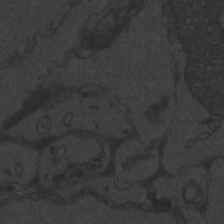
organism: Zebrafish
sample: Macrophage infected with Toxoplasma gondii